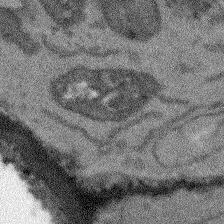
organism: Arabidopsis thaliana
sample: Root tip